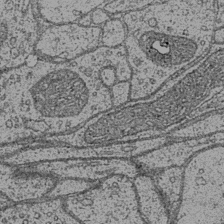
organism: Drosophila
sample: Optic medulla